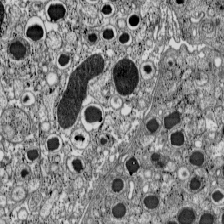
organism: C57BL Mouse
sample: Pancreatic islet